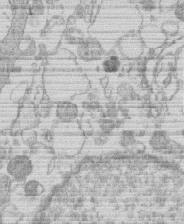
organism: Human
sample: Macrophage cells